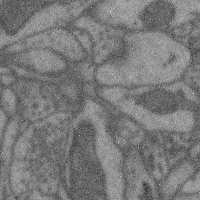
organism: Mouse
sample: Cerebral cortex